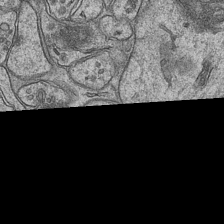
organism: Mouse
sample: CA1 Hippocampus